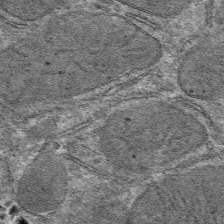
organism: Mouse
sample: Mouse hepatocytes